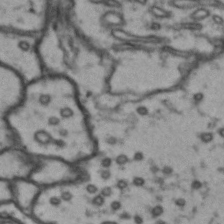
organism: Drosophila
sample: Brain